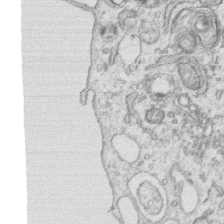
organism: Human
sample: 1205lu cells